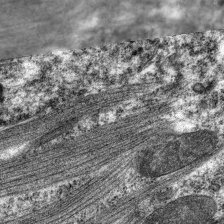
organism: C. elegans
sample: Pharynx